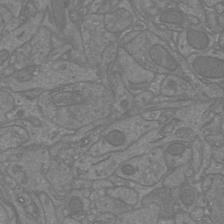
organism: Mouse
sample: Cortical neurons